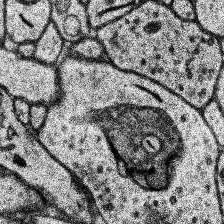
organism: Human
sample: Temporal Lobe